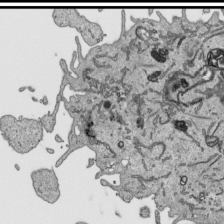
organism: Human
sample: Mitochondria in HCT116 cells